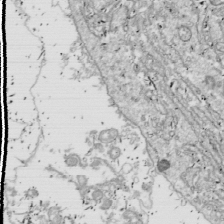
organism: Drosophila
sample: Cell division; meiosis; drosophila spermatocytes